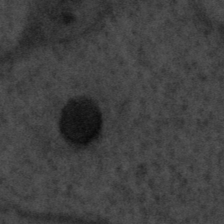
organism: Tuwongella immobilis